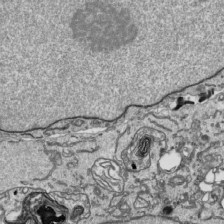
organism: Human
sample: Mitochondria in HCT116 cells